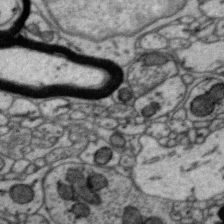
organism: Zebra finch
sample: Brain